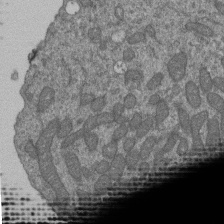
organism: Human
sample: Retinal organoid Rod and Cone cells